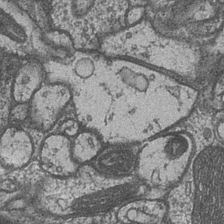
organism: Drosophila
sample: Optic medulla